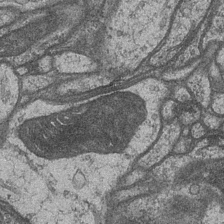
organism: Drosophila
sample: Optic medulla